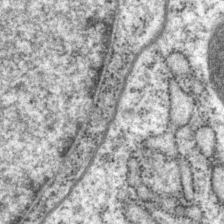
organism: P. pacificus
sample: Pharynx